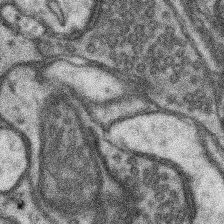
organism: Mouse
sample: Somatosensory cortex neuropil